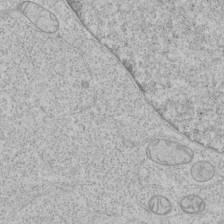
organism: Human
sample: Mitochondria in HCT116 cells